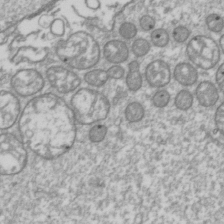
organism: Drosophila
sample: Cell division; meiosis; drosophila spermatocytes